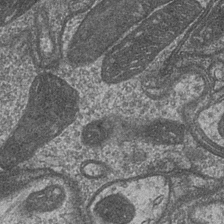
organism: Drosophila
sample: Optic medulla